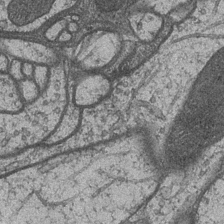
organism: Drosophila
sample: Optic medulla